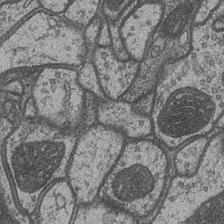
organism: Drosophila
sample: Optic medulla